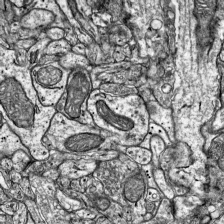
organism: Mouse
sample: Visual Cortex